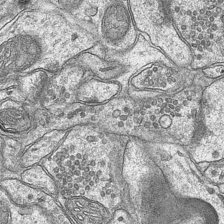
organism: Mouse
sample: CA1 Hippocampus